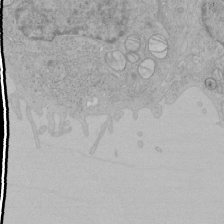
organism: Human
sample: Mitochondria in HCT116 cells